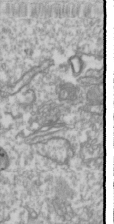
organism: Drosophila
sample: Cell division; meiosis; drosophila spermatocytes